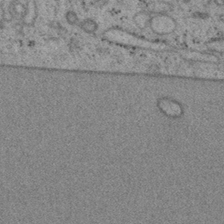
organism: Human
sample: HeLa cells